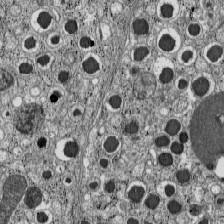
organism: C57BL Mouse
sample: Pancreatic islet